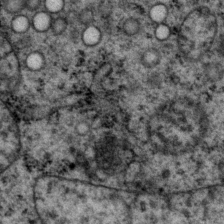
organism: P. pacificus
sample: Pharynx